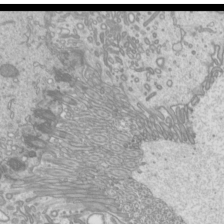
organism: Mouse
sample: Cilia; mouse epididymis